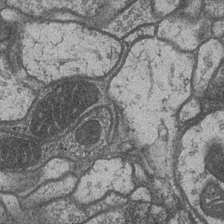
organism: Drosophila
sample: Optic medulla